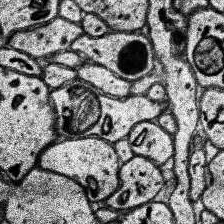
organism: Human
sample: Temporal Lobe